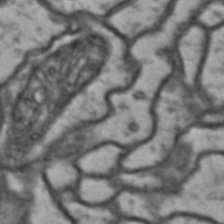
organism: Drosophila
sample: Brain